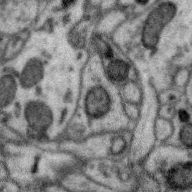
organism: Zebra finch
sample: Brain